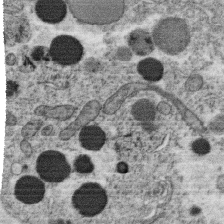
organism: C. elegans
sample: C. elegans oocyte; sperm cells